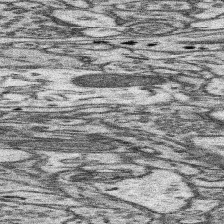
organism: Mouse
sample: Somatosensory cortex neuropil